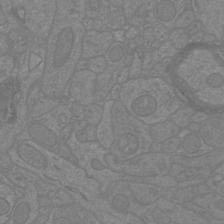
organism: Mouse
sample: Cortical neurons